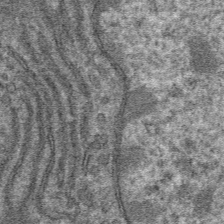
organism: Mouse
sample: Mouse hepatocytes